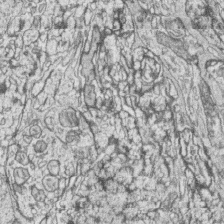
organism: Zebrafish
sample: synaptic ribbons in rod cells and cone cells